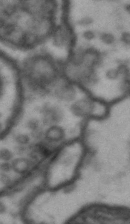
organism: Drosophila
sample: Brain